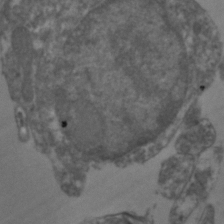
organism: Zebrafish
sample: Zebrafish embryo